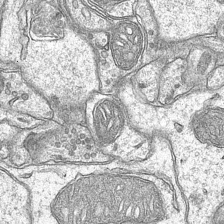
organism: Mouse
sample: CA1 Hippocampus